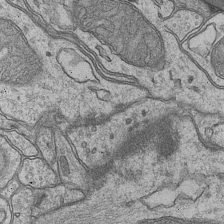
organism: Mouse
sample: CA1 Hippocampus